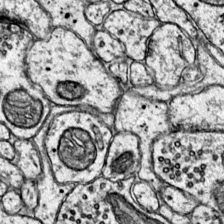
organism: Mouse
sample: Primary visual cortex